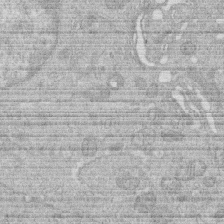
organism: Human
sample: Macrophage cells